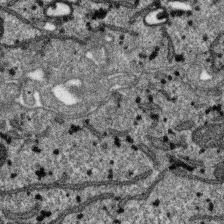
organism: Human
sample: Lung epithelial cells infected with SARS-CoV-2